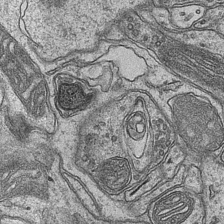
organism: Mouse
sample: CA1 Hippocampus